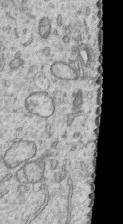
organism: Human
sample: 1205lu cells